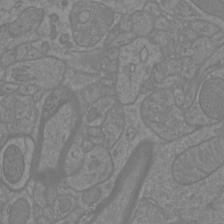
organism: Mouse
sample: Cortical neurons